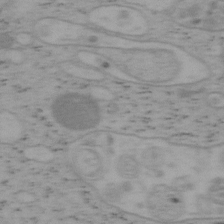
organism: Mouse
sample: OT-I killer T cells with ID8 ovarian cancer cells